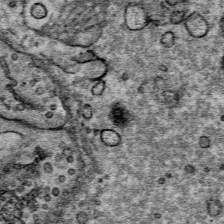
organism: Mouse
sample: Mouse Salivary gland